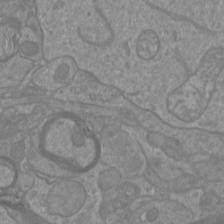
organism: Mouse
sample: Cortical neurons